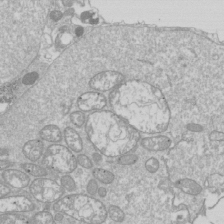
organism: Drosophila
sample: Cell division; meiosis; drosophila spermatocytes